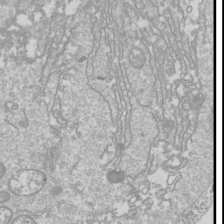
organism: Drosophila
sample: Cell division; meiosis; drosophila spermatocytes